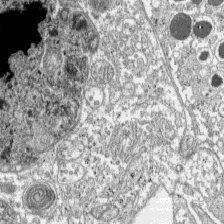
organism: C57BL Mouse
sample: Pancreatic islet